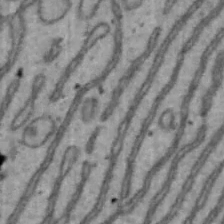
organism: Mouse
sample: Liver